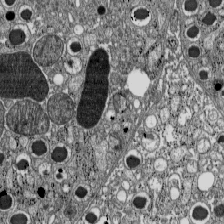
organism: C57BL Mouse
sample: Pancreatic islet